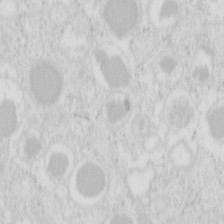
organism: Mouse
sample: Pancreas